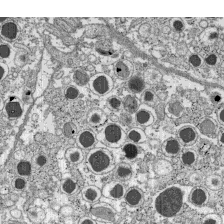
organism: C57BL Mouse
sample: Pancreatic islet